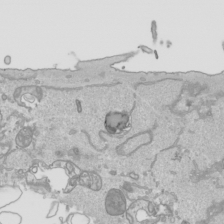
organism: Human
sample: Mitochondria in HCT116 cells